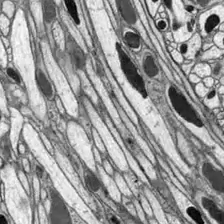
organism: Drosophila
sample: Optic lobe